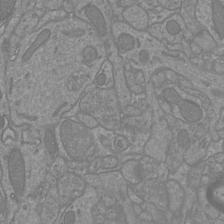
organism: Mouse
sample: Cortical neurons